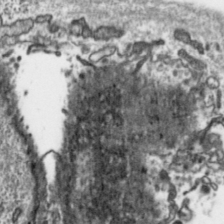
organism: Toxoplasma gondii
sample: Parasites in a vacuole inside a host cell